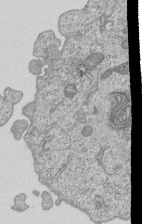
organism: Human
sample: MDA-MB-231 cells